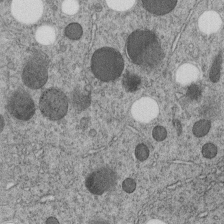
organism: C. elegans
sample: C. elegans embryo early stage